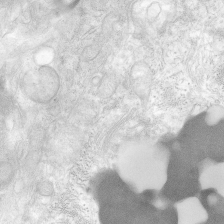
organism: Human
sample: Neocortex